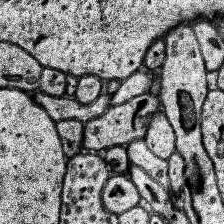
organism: Human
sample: Temporal Lobe